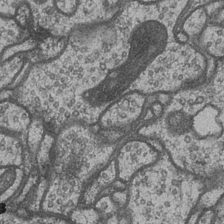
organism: Drosophila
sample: Optic medulla